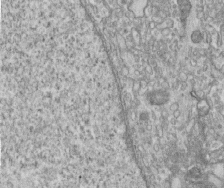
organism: Human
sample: Centriole in fibroblast cells